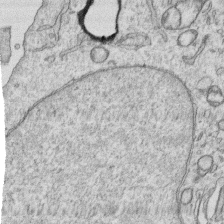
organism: Human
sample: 1205lu cells